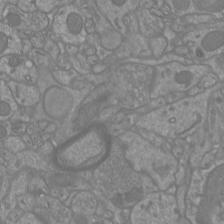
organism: Mouse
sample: Cortical neurons